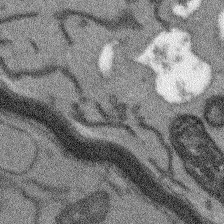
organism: Arabidopsis thaliana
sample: Root tip